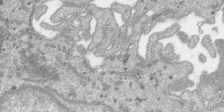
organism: Human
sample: Lung epithelial cells infected with SARS-CoV-2